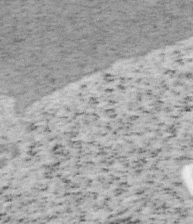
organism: Mouse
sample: OT-I killer T cells with ID8 ovarian cancer cells